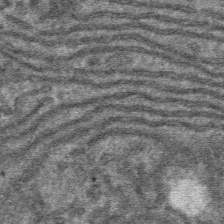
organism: Mouse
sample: Mouse hepatocytes